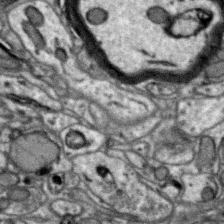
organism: Zebra finch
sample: Brain